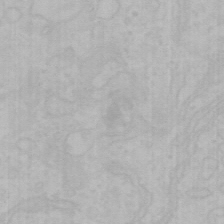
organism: Mouse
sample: Choroid plexus